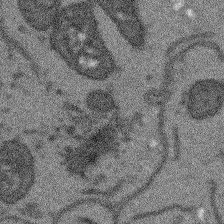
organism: Arabidopsis thaliana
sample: Root tip